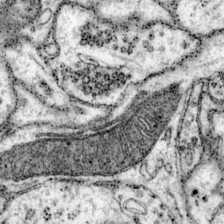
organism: Mouse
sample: Primary visual cortex